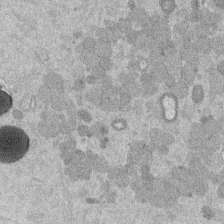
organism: Mouse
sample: Dividing mouse embryo 1 cell stage